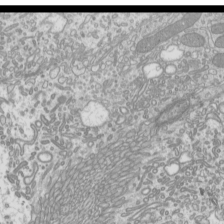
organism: Mouse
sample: Cilia; mouse epididymis